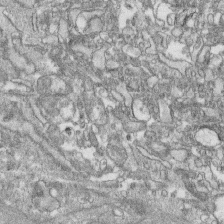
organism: Human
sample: CRL-1474